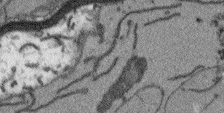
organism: Arabidopsis thaliana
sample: Root tip